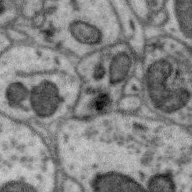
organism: Zebra finch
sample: Brain